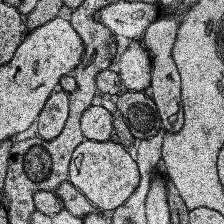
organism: Human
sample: Temporal Lobe